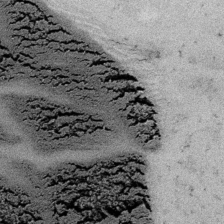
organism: Embia sp.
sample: Silk gland